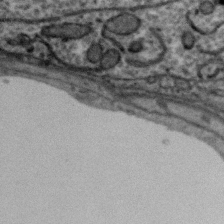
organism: Zebra finch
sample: Brain